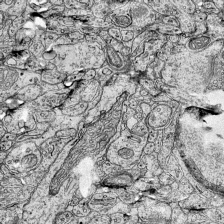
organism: Mouse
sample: Visual Cortex